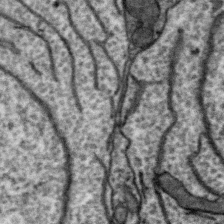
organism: Zebra finch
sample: Brain